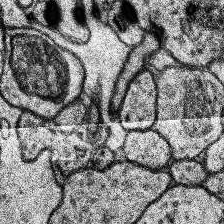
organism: Human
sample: Temporal Lobe